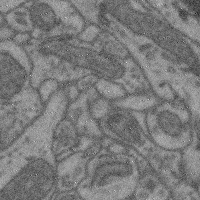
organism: Mouse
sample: Cerebral cortex